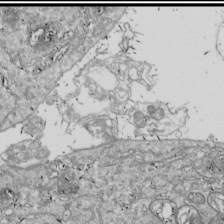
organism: Drosophila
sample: Cell division; meiosis; drosophila spermatocytes